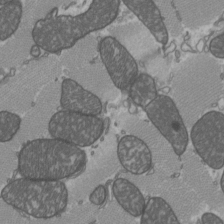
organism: C57BL Mouse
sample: Heart